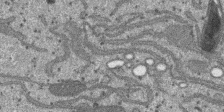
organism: Human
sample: Lung epithelial cells infected with SARS-CoV-2